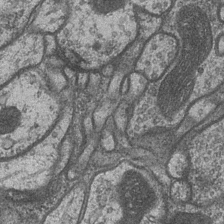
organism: Drosophila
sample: Optic medulla